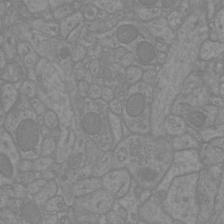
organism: Mouse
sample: Cortical neurons